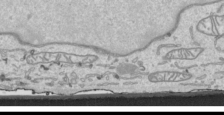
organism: Human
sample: Mitochondria in HCT116 cells